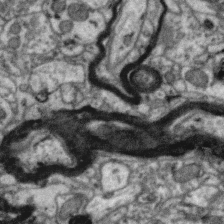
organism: Zebra finch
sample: Brain